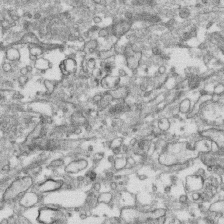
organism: Human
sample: CRL-1474